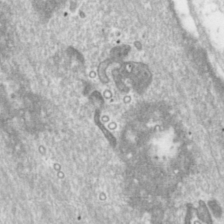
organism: Toxoplasma gondii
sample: Parasites in a vacuole inside a host cell